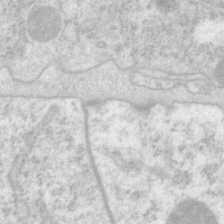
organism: P. pacificus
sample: Pharynx